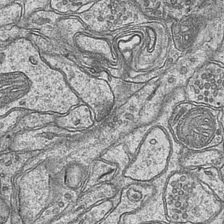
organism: Mouse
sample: CA1 Hippocampus